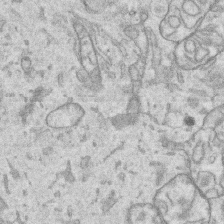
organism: Human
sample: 1205lu cells